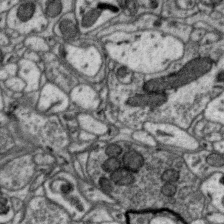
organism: Zebra finch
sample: Brain